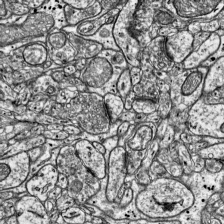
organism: Mouse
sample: Visual Cortex